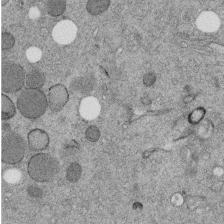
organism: C. elegans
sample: C. elegans embryo early stage